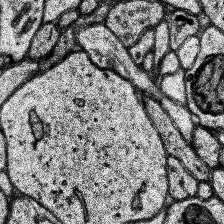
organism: Human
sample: Temporal Lobe